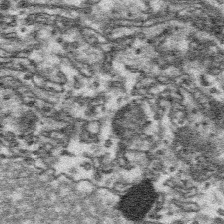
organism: Platynereis dumerilii